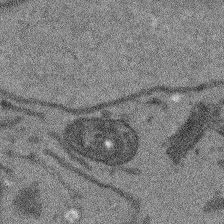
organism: Arabidopsis thaliana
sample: Root tip